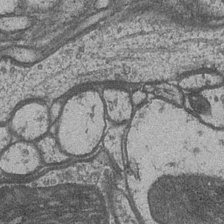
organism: Drosophila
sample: Optic medulla